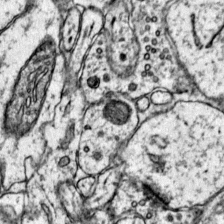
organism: Mouse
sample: Primary visual cortex